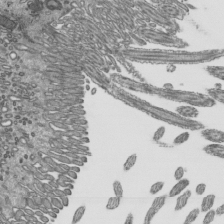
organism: Mouse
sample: Mouse epididymis efferent ductule cilia